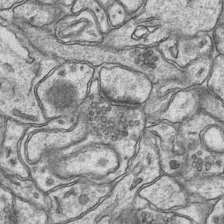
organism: Mouse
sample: CA1 Hippocampus